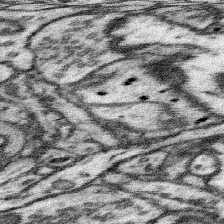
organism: Mouse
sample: Somatosensory cortex neuropil